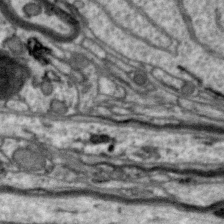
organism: Zebra finch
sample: Brain